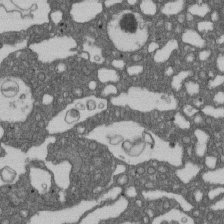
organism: Drosophila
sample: Nephrocyte